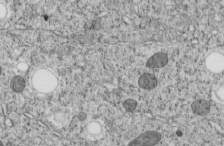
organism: C. elegans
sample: C. elegans embryo early stage